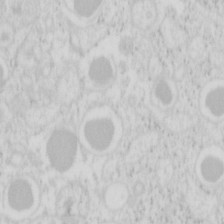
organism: Mouse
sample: Pancreas